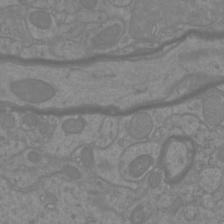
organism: Mouse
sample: Cortical neurons